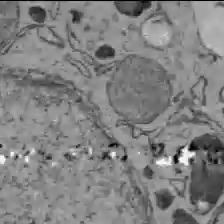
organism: C57BL Mouse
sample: Liver